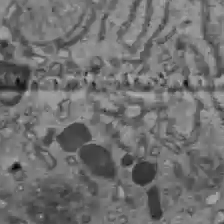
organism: C57BL Mouse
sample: Liver